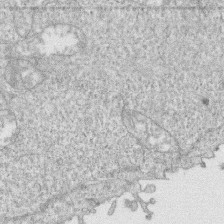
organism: Human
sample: HeLa cell HIV synapse